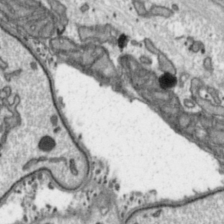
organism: Toxoplasma gondii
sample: Parasites in a vacuole inside a host cell